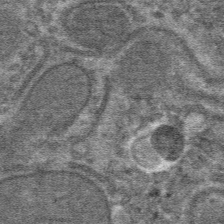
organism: Mouse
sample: Mouse hepatocytes